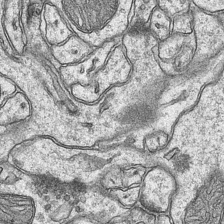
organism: Mouse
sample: CA1 Hippocampus